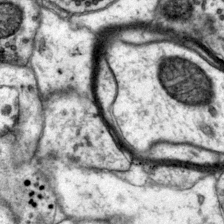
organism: Mouse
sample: Primary visual cortex